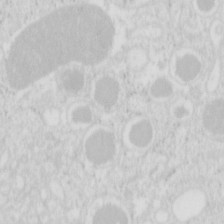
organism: Mouse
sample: Pancreas